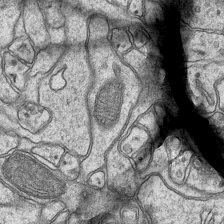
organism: Mouse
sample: CA1 Hippocampus